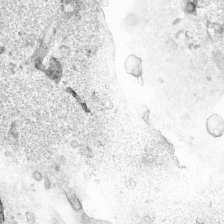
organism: Human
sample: Mitochondria in HCT116 cells